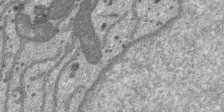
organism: Human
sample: Lung epithelial cells infected with SARS-CoV-2